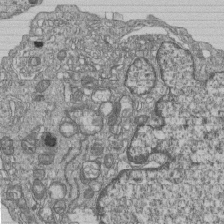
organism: Human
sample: MDA-MB-231 cells